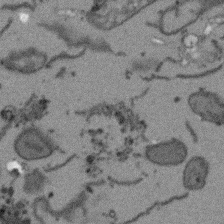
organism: Arabidopsis thaliana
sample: Root tip